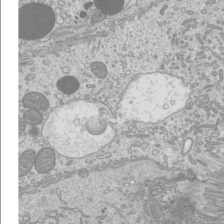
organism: Mouse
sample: Cilia; mouse epididymis